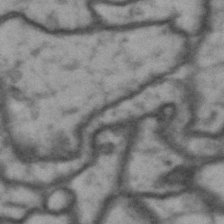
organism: Drosophila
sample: Brain